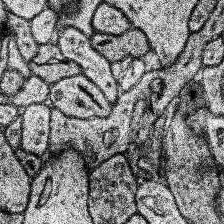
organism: Human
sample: Temporal Lobe